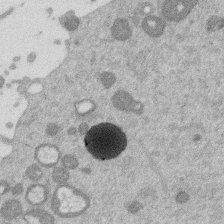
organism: Mouse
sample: Dividing mouse embryo 1 cell stage